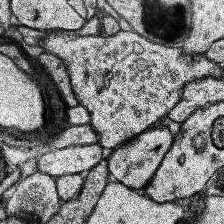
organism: Human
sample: Temporal Lobe